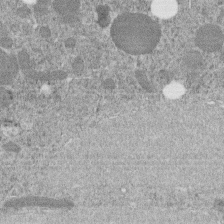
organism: C. elegans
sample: C. elegans embryo early stage